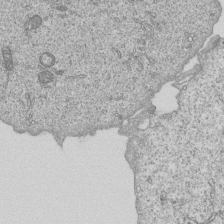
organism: Human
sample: MDA-MB-231 cells